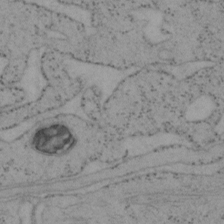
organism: Mouse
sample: OT-I killer T cells with ID8 ovarian cancer cells